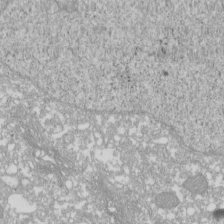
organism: Xenopus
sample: Cilia; centrioles in frog embryo cells